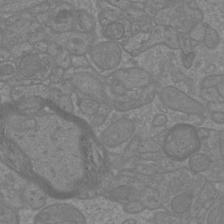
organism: Mouse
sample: Cortical neurons